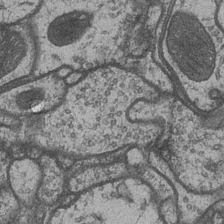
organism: Drosophila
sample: Optic medulla